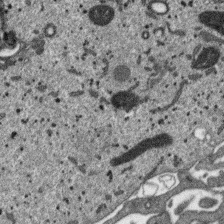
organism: Human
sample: Lung epithelial cells infected with SARS-CoV-2